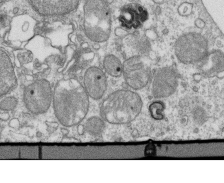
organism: Mouse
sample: Activated OT-1 CD8+ T cells